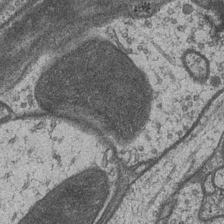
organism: Drosophila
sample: Optic medulla